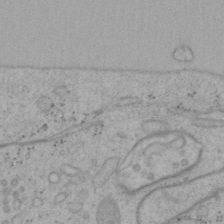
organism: Human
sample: HeLa cells